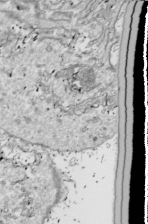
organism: Drosophila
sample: Cell division; meiosis; drosophila spermatocytes